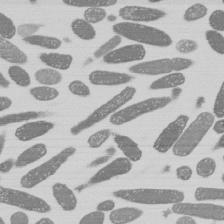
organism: E. coli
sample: Bacterial nucleoid